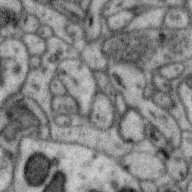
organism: Zebra finch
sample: Brain